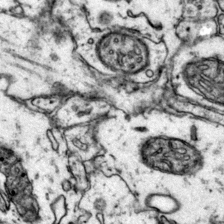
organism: Mouse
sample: Primary visual cortex